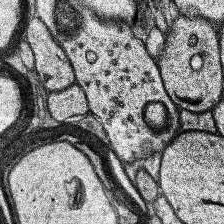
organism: Human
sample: Temporal Lobe